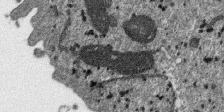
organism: Human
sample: Lung epithelial cells infected with SARS-CoV-2